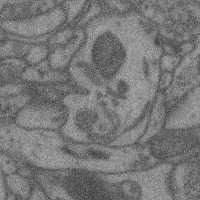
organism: Mouse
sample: Cerebral cortex